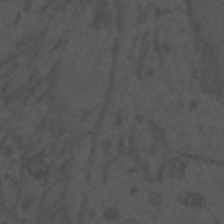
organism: Mouse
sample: Suprachiasmatic nucleus